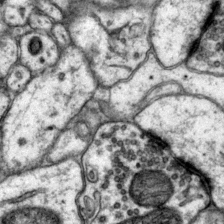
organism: Mouse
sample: Primary visual cortex